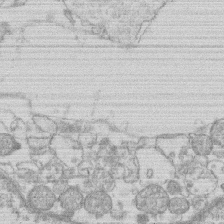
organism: Human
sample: Macrophage cells